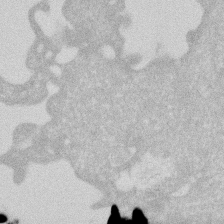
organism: Human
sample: HIV infected U937 cells